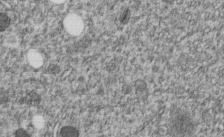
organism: C. elegans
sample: C. elegans embryo early stage